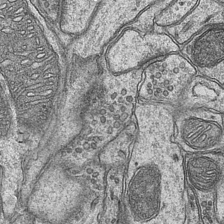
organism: Mouse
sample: CA1 Hippocampus